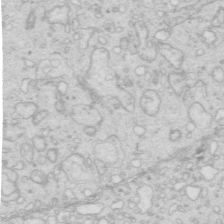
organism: Mouse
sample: Multiciliated cells